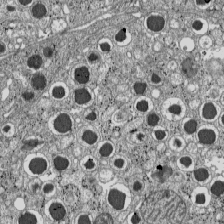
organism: C57BL Mouse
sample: Pancreatic islet